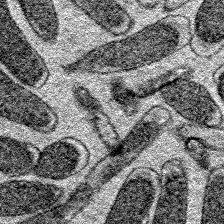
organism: E. coli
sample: E. Coli Bacteria